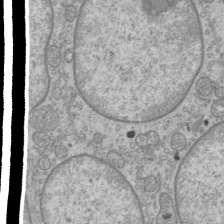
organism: Mouse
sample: Cilia; mouse epididymis